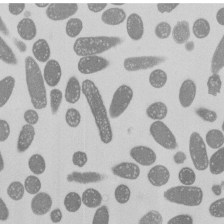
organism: E. coli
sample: Bacterial nucleoid